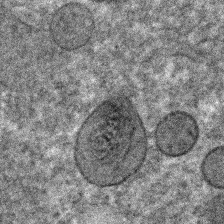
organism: C. elegans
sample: C. elegans embryo